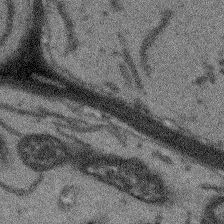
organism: Arabidopsis thaliana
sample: Root tip